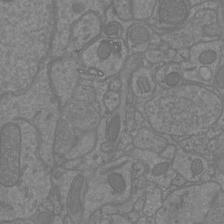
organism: Mouse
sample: Cortical neurons